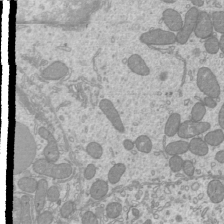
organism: Mouse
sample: Cilia; mouse epididymis